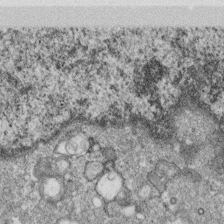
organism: African green monkey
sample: Vero E6 cells infected with SARS-CoV-2